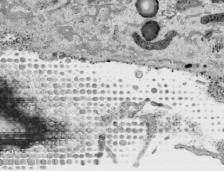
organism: Human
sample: Mitochondria in HCT116 cells